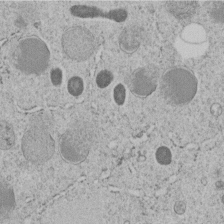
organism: C. elegans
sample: C. elegans embryo early stage